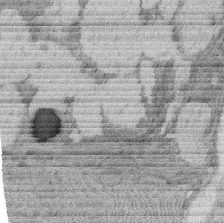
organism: Rat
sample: Salivary granule